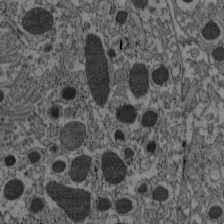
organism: C57BL Mouse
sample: Pancreatic islet